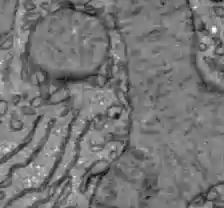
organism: C57BL Mouse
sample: Liver